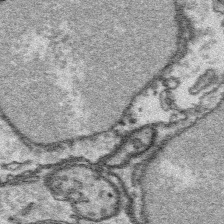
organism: Platynereis dumerilii